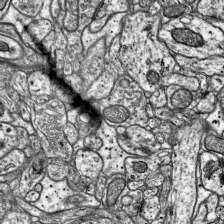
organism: Mouse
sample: Visual Cortex